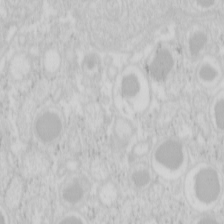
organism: Mouse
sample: Pancreas